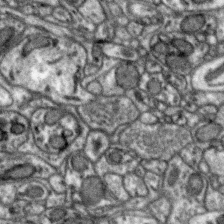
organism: Zebra finch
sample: Brain